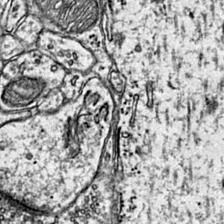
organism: Mouse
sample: Primary visual cortex